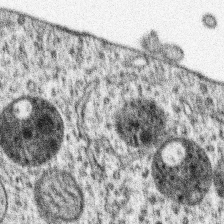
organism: Human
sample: HeLa cells